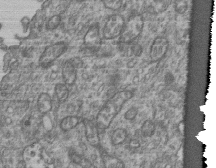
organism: Human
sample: Retinal organoid Rod and Cone cells